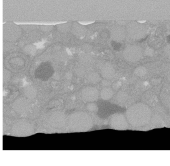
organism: C. elegans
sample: C. elegans oocyte; sperm cells